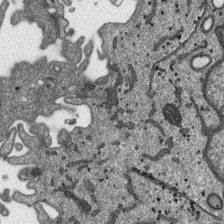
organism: Human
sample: Lung epithelial cells infected with SARS-CoV-2